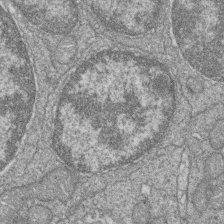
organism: Zebrafish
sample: Cilia; retinal pigment epithelium